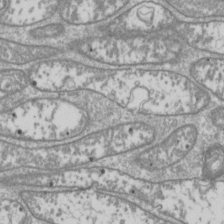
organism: Drosophila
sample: Cell division; meiosis; drosophila spermatocytes